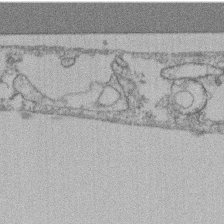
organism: Mouse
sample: T cell stromal cell synapse